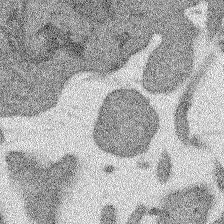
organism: Human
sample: HeLa cells